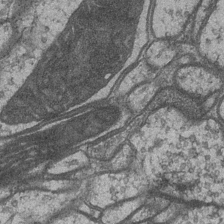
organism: Drosophila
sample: Optic medulla